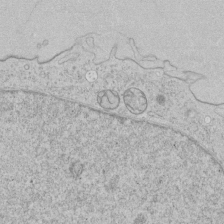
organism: Human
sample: Mitochondria in HCT116 cells